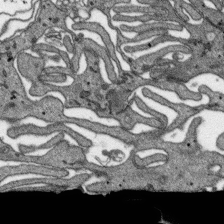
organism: Human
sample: Lung epithelial cells, uninfected (mock) control